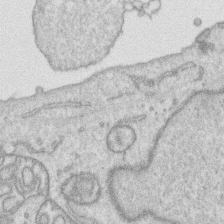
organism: Human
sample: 1205lu cells